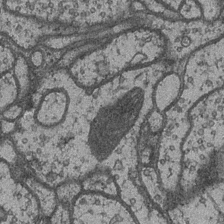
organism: Drosophila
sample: Optic medulla